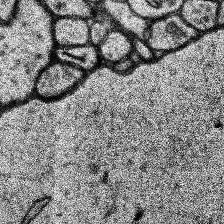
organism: Human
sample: Temporal Lobe